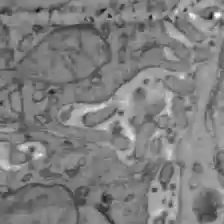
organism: C57BL Mouse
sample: Liver